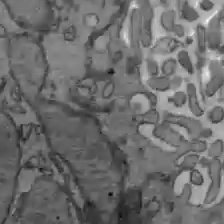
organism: C57BL Mouse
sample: Liver